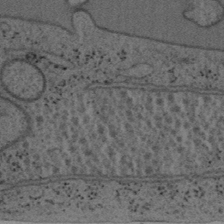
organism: Human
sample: HeLa cells